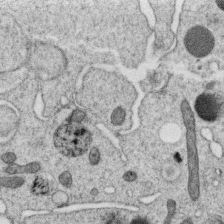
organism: C. elegans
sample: C. elegans oocyte; sperm cells